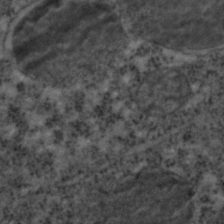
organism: C. elegans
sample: C. elegans embryo